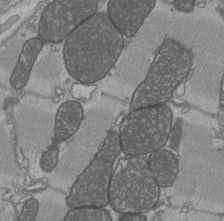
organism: C57BL Mouse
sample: Heart